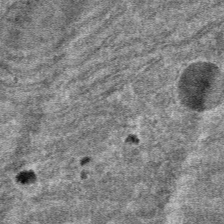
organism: Mouse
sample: Mouse hepatocytes